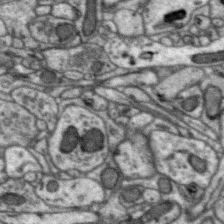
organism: Zebra finch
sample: Brain